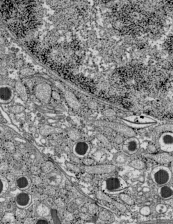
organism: C57BL Mouse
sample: Pancreatic islet